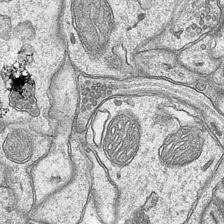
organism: Mouse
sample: CA1 Hippocampus